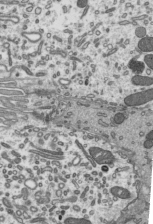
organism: Mouse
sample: Mouse epididymis efferent ductule cilia